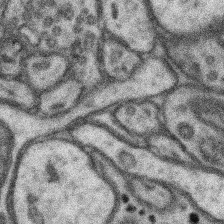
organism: Mouse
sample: Somatosensory cortex neuropil